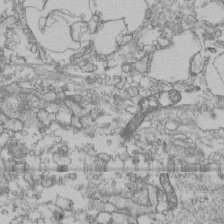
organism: Human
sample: Fibroblast cells